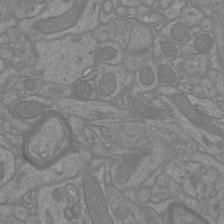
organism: Mouse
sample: Cortical neurons